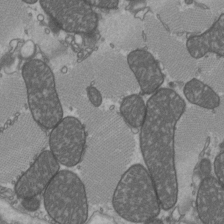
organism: C57BL Mouse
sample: Heart